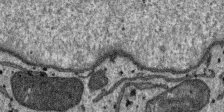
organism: Human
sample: Lung epithelial cells, uninfected (mock) control